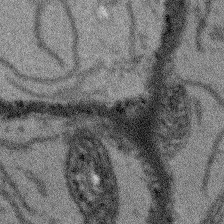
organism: Arabidopsis thaliana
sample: Root tip